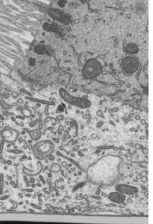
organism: Mouse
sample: Mouse epididymis efferent ductule cilia